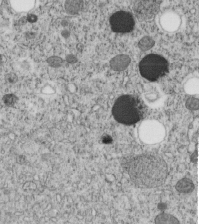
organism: C. elegans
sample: C. elegans embryo early stage